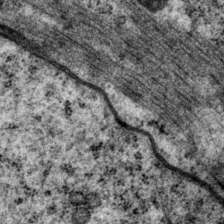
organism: P. pacificus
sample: Pharynx